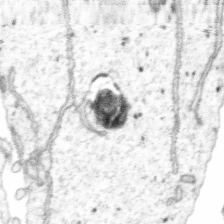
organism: Human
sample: HeLa cells